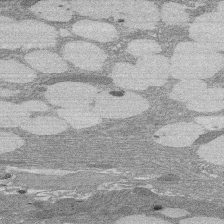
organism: Rat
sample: Salivary granule